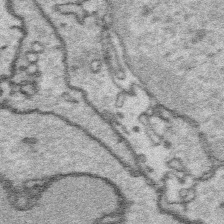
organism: Platynereis dumerilii